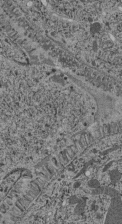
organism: C. elegans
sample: C. elegans pharynx